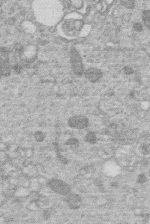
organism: Human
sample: Macrophage cells